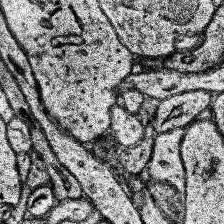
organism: Human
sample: Temporal Lobe